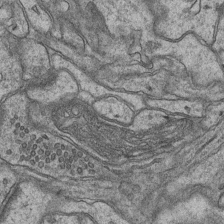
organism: Mouse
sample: CA1 Hippocampus